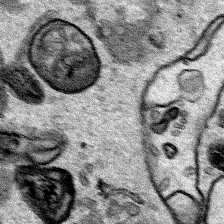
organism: Human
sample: Mitochondria in HCT116 cells